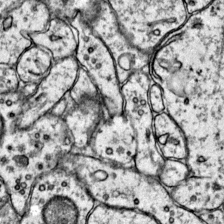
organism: Mouse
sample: Primary visual cortex